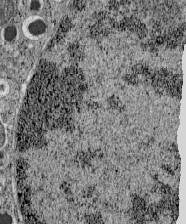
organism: C57BL Mouse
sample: Pancreatic islet